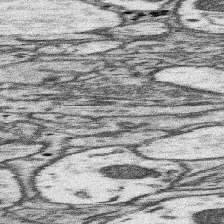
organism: Mouse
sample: Somatosensory cortex neuropil